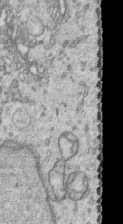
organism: Human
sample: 1205lu cells